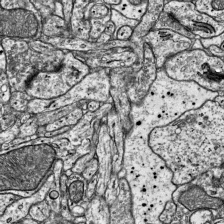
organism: Mouse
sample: Visual Cortex